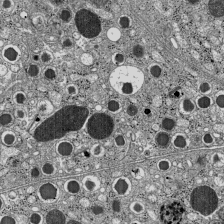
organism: C57BL Mouse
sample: Pancreatic islet